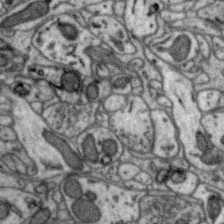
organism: Zebra finch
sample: Brain